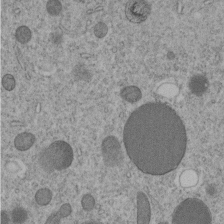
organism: C. elegans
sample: C. elegans embryo early stage